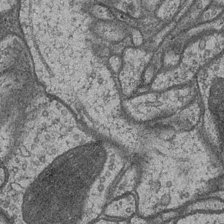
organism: Drosophila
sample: Optic medulla